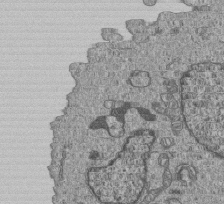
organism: Human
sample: MDA-MB-231 cells